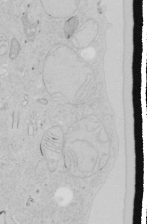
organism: Human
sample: Mitochondria in HCT116 cells